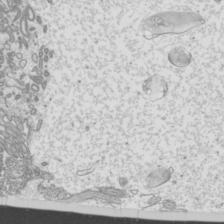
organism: Mouse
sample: Cilia; mouse epididymis